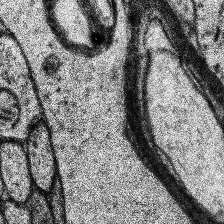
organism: Human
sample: Temporal Lobe